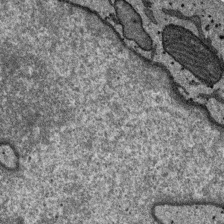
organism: Human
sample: Lung epithelial cells, uninfected (mock) control